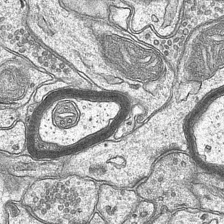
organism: Mouse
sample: CA1 Hippocampus